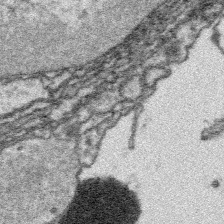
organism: Platynereis dumerilii